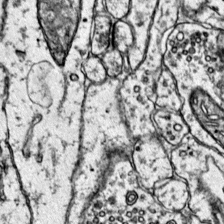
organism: Mouse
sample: Primary visual cortex